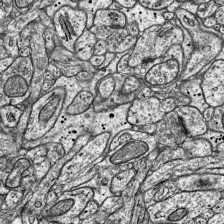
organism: Mouse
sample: Visual Cortex